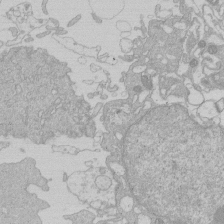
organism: Human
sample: Macrophage cells